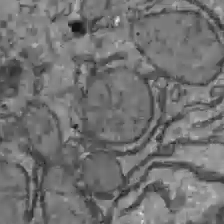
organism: C57BL Mouse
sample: Liver